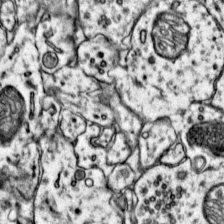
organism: Mouse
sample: Primary visual cortex